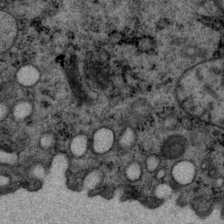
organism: P. pacificus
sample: Pharynx